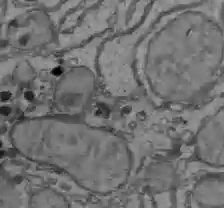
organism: C57BL Mouse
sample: Liver